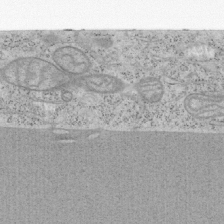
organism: Human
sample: HeLa cells